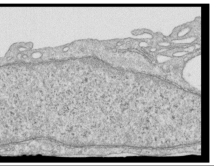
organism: Human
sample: Centriole in RPE cells